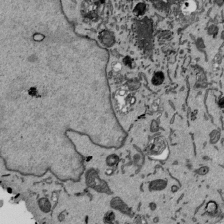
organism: Mouse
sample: ED-1 cell nuclei; centrioles